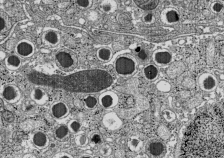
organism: C57BL Mouse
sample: Pancreatic islet